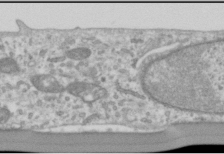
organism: Human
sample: Cilia; basal body in RPE cells